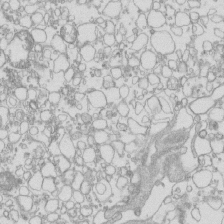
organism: Mouse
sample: Macrophages